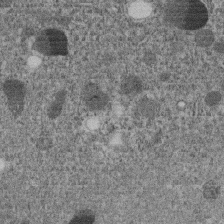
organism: C. elegans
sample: C. elegans embryo early stage